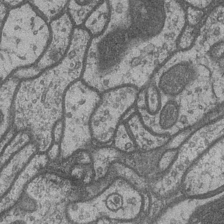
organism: Drosophila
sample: Optic medulla